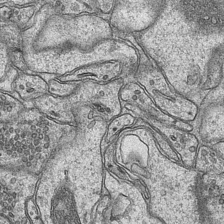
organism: Mouse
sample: CA1 Hippocampus